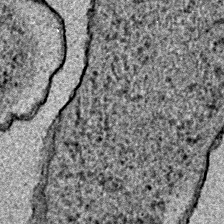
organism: E. coli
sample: E. Coli Bacteria